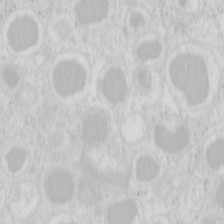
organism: Mouse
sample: Pancreas